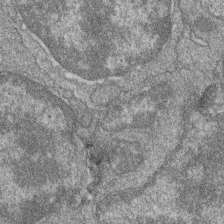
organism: Zebrafish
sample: Cilia; retinal pigment epithelium